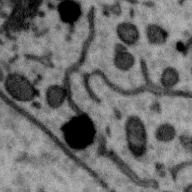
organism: Zebra finch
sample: Brain